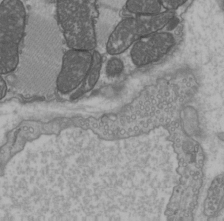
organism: C57BL Mouse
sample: Heart